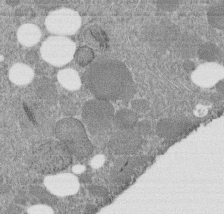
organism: C. elegans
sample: C. elegans embryo early stage